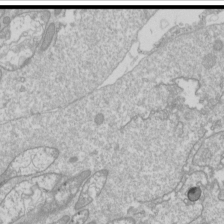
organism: Drosophila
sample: Cell division; meiosis; drosophila spermatocytes